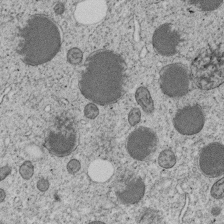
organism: C. elegans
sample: C. elegans embryo early stage